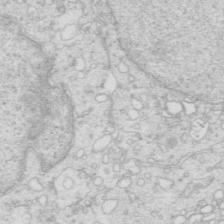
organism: Mouse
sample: Multiciliated cells